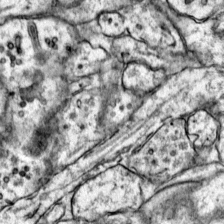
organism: Mouse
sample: Primary visual cortex